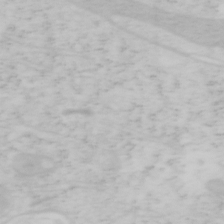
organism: Mouse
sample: OT-I killer T cells with ID8 ovarian cancer cells